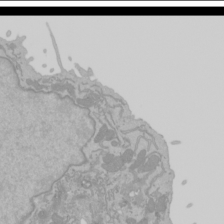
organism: Mouse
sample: Cancer cell death in ED-1 cells